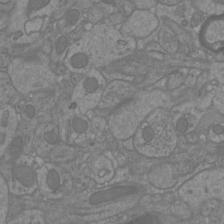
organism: Mouse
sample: Cortical neurons